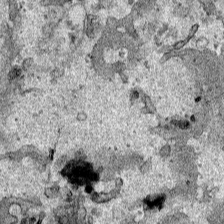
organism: Human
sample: Mitochondria in HCT116 cells